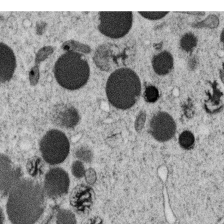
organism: C. elegans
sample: C. elegans oocyte; sperm cells